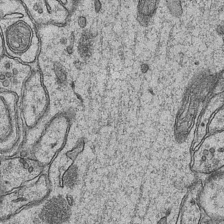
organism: Mouse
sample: CA1 Hippocampus